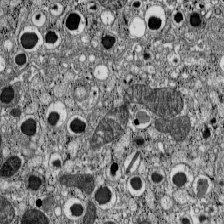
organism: C57BL Mouse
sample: Pancreatic islet